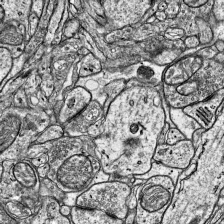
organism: Mouse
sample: Visual Cortex